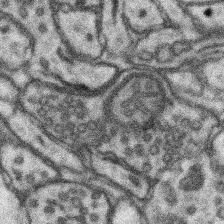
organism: Mouse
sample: Somatosensory cortex neuropil